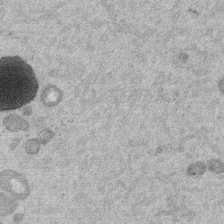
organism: Mouse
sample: Dividing mouse embryo 1 cell stage